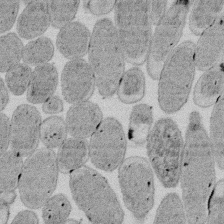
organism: E. coli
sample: Bacterial nucleoid